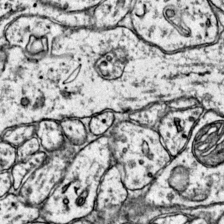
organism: Mouse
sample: Primary visual cortex